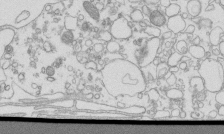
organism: Mouse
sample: Macrophages